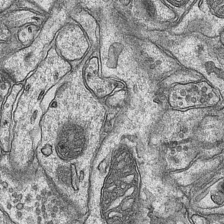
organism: Mouse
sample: CA1 Hippocampus